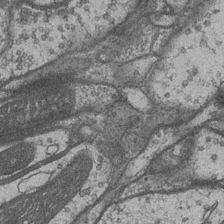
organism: Drosophila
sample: Optic medulla